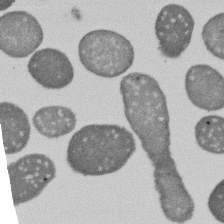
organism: E. coli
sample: Bacterial nucleoid